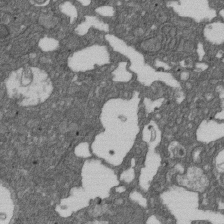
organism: Drosophila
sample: Nephrocyte